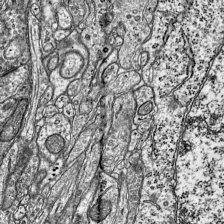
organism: Mouse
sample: Visual Cortex